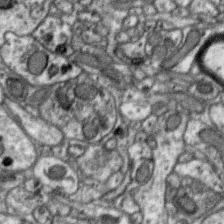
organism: Zebra finch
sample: Brain